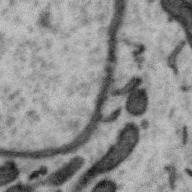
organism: Zebra finch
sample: Brain